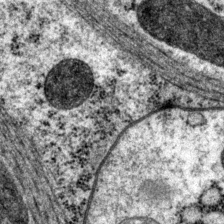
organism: P. pacificus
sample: Pharynx